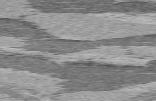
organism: C57BL Mouse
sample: Heart